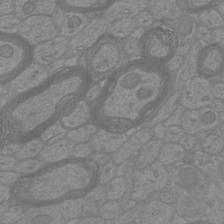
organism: Mouse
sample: Cortical neurons